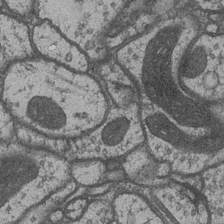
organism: Drosophila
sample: Optic medulla